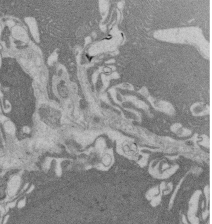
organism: Rat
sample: Salivary granule